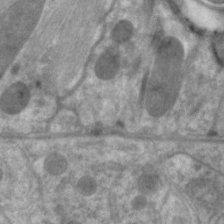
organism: C. elegans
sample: Pharynx